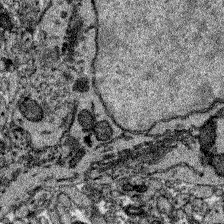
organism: Zebrafish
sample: Larval olfactory bulb